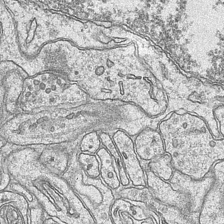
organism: Mouse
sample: CA1 Hippocampus